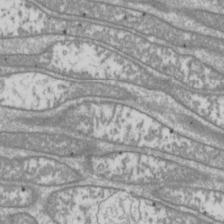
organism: Drosophila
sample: Cell division; meiosis; drosophila spermatocytes